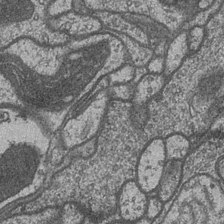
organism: Drosophila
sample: Optic medulla